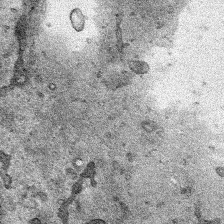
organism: Human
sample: Mitochondria in HCT116 cells